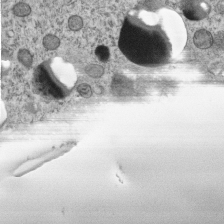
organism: C. elegans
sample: C. elegans embryo early stage